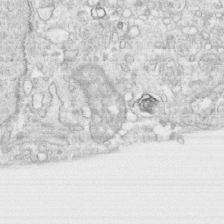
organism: Human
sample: CRL-1474